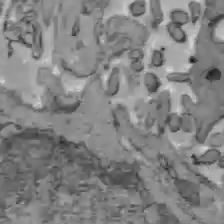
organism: C57BL Mouse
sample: Liver